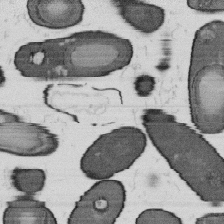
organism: B. subtilis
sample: Bacterial spore